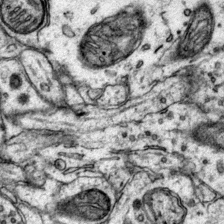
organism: Mouse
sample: Primary visual cortex